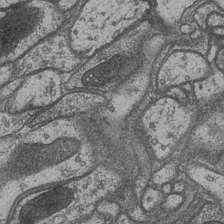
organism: Drosophila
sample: Optic medulla